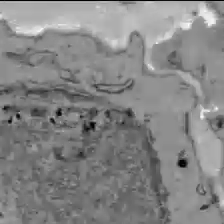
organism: C57BL Mouse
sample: Liver